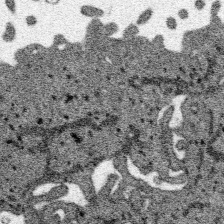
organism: Human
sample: Lung epithelial cells, uninfected (mock) control